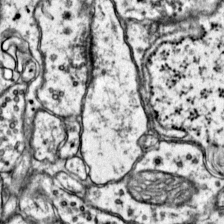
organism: Mouse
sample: Primary visual cortex